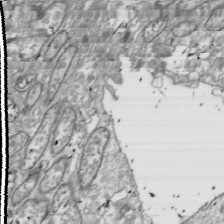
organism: Drosophila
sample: Cell division; meiosis; drosophila spermatocytes